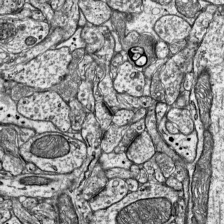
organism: Mouse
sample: Visual Cortex